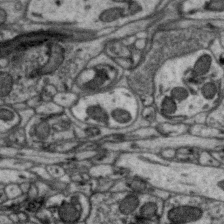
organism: Zebra finch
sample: Brain